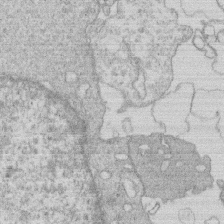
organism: Human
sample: Macrophage cells